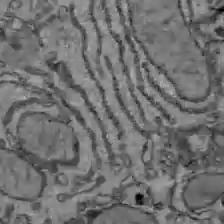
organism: C57BL Mouse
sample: Liver